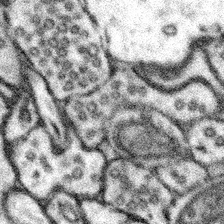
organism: Mouse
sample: Somatosensory cortex neuropil